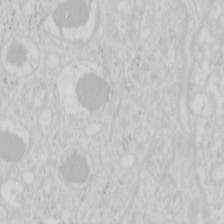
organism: Mouse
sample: Pancreas